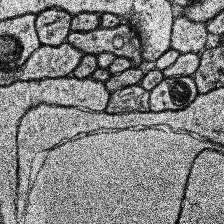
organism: Human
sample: Temporal Lobe